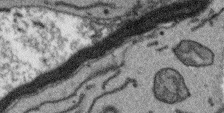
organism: Arabidopsis thaliana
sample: Root tip